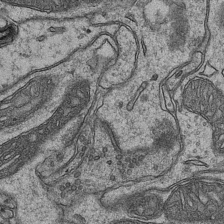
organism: Mouse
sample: CA1 Hippocampus